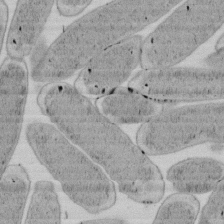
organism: E. coli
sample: Bacterial nucleoid